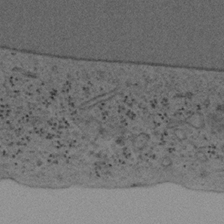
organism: Human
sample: HeLa cells